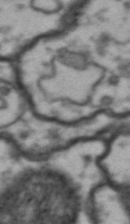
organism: Drosophila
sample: Brain